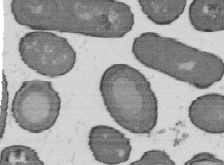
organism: B. subtilis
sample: Bacterial spore